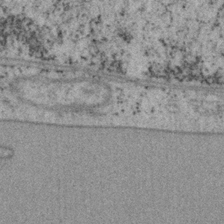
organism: Human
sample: HeLa cells